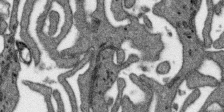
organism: Human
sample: Lung epithelial cells, uninfected (mock) control